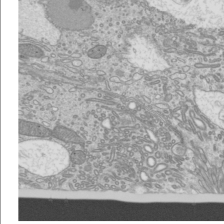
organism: Mouse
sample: Cilia; mouse epididymis